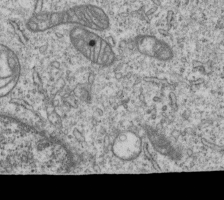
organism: Human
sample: MDA-MB-231 cells